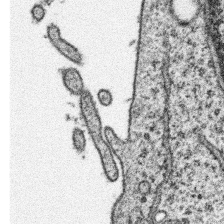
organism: Human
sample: HeLa cells